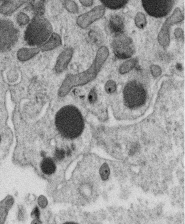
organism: C. elegans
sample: C. elegans oocyte; sperm cells